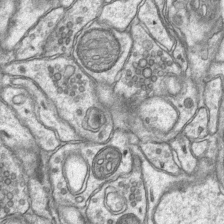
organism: Mouse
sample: CA1 Hippocampus